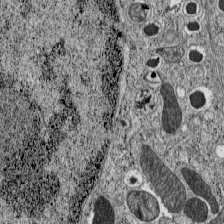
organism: C57BL Mouse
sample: Pancreatic islet